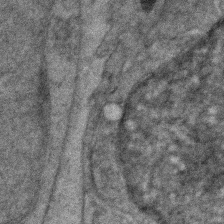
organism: Zebrafish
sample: Zebrafish embryo